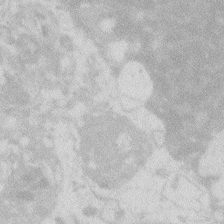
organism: Zebrafish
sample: Macrophage